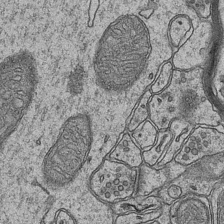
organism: Mouse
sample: CA1 Hippocampus